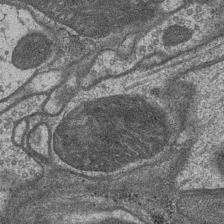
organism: Drosophila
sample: Optic medulla